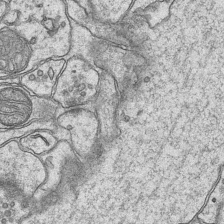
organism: Mouse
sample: CA1 Hippocampus